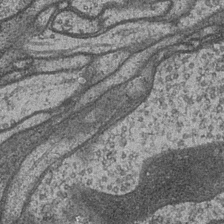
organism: Drosophila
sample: Optic medulla